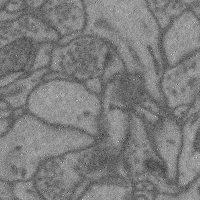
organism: Mouse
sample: Cerebral cortex